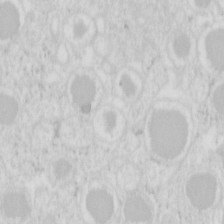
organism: Mouse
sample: Pancreas